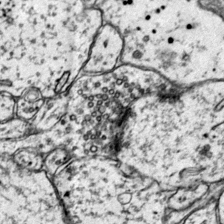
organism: Mouse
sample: Primary visual cortex